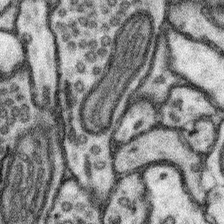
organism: Mouse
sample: Somatosensory cortex neuropil